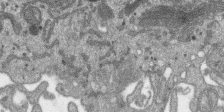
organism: Human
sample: Lung epithelial cells infected with SARS-CoV-2